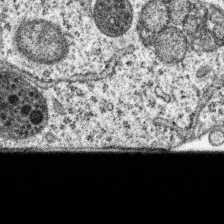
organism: Human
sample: HeLa cells